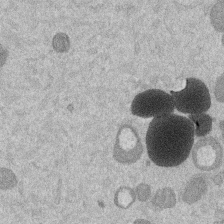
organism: Mouse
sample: Dividing mouse embryo 1 cell stage